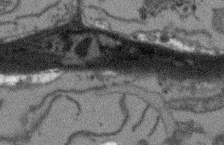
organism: Arabidopsis thaliana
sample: Root tip